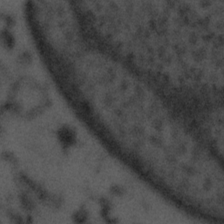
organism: Tuwongella immobilis